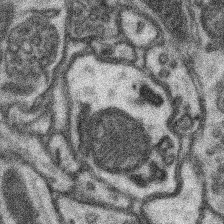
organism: Mouse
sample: Somatosensory cortex neuropil